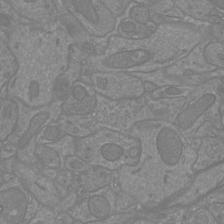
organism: Mouse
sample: Cortical neurons